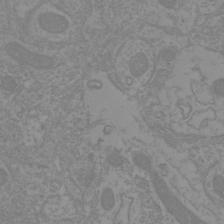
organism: Mouse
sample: Cortical neurons